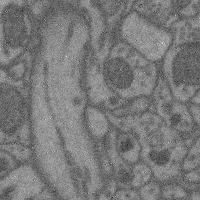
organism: Mouse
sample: Cerebral cortex